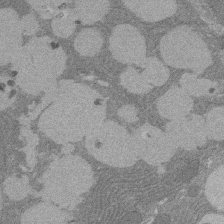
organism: Rat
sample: Salivary granule